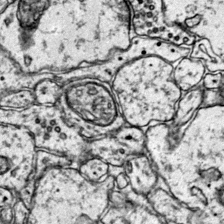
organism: Mouse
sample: Primary visual cortex